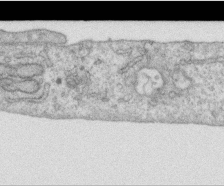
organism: Human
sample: Centriole in RPE cells